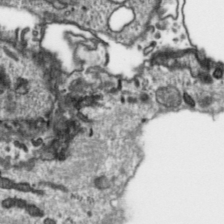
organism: Toxoplasma gondii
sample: Parasites in a vacuole inside a host cell